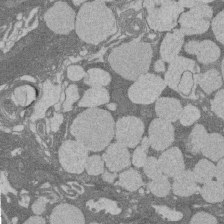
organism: Rat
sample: Salivary granule